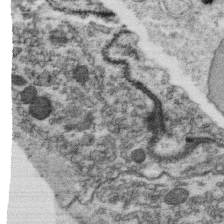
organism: C. elegans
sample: C. elegans oocyte; sperm cells